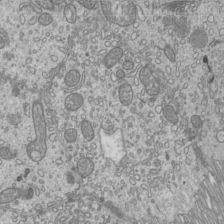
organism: Mouse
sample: Cilia; mouse epididymis